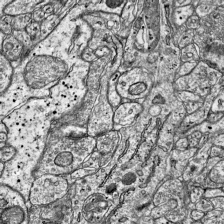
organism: Mouse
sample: Visual Cortex